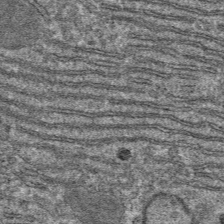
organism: Mouse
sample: Mouse hepatocytes